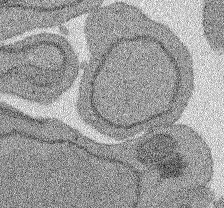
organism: Human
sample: HeLa cells